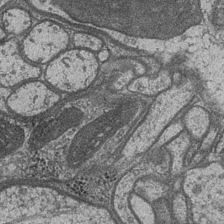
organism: Drosophila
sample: Optic medulla